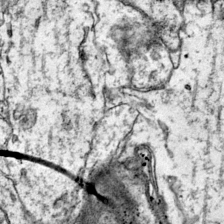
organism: Mouse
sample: Primary visual cortex